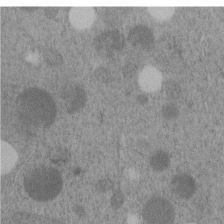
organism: C. elegans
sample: C. elegans embryo early stage